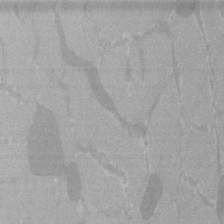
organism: C57BL Mouse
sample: Tibialis anterior muscle cell